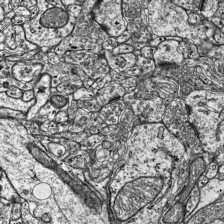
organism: Mouse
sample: Visual Cortex